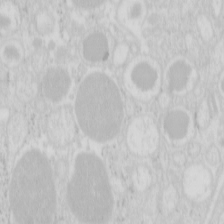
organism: Mouse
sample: Pancreas